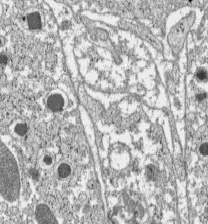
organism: C57BL Mouse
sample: Pancreatic islet